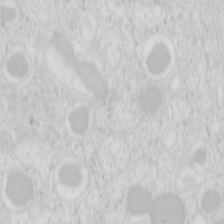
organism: Mouse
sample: Pancreas